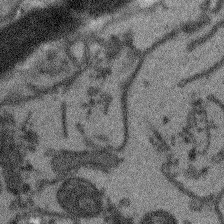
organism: Arabidopsis thaliana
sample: Root tip